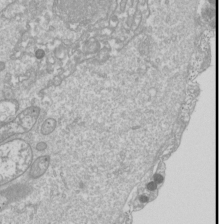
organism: Drosophila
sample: Cell division; meiosis; drosophila spermatocytes